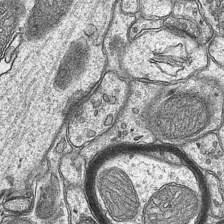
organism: Mouse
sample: CA1 Hippocampus